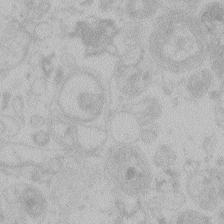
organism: Zebrafish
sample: Macrophage infected with Toxoplasma gondii